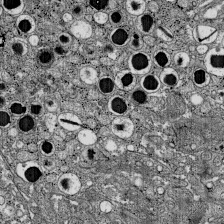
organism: C57BL Mouse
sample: Pancreatic islet